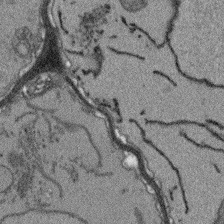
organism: Arabidopsis thaliana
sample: Root tip